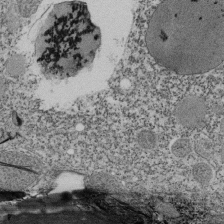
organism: Tetrahymena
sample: Cilia in tetrahymena